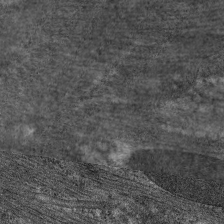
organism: C. elegans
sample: Pharynx